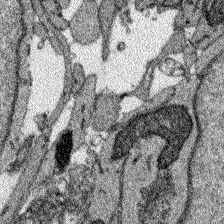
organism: Zebrafish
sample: Larval olfactory bulb